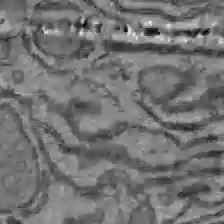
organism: C57BL Mouse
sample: Liver